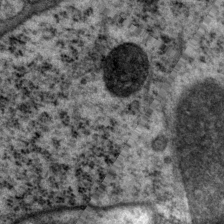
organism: P. pacificus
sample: Pharynx